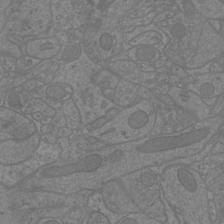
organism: Mouse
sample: Cortical neurons